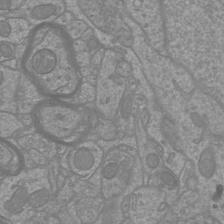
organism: Mouse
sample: Cortical neurons